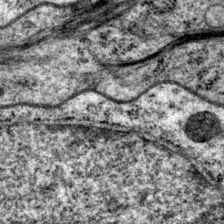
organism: P. pacificus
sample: Pharynx